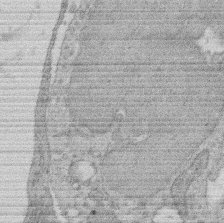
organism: Rat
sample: Salivary granule